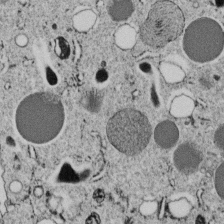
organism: C. elegans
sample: C. elegans embryo early stage